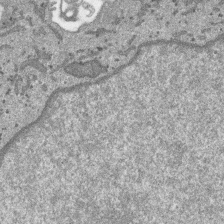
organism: Human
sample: Lung epithelial cells infected with SARS-CoV-2